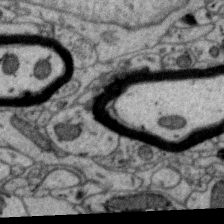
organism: Zebra finch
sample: Brain